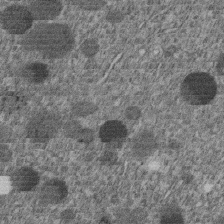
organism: C. elegans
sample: C. elegans embryo early stage